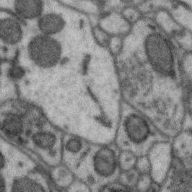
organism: Zebra finch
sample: Brain